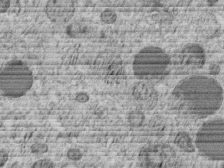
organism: C. elegans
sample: C. elegans embryo early stage